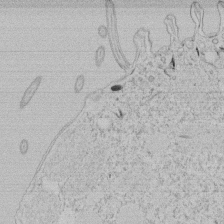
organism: Tetrahymena